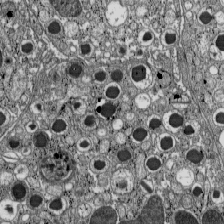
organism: C57BL Mouse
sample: Pancreatic islet